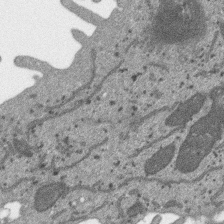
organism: Human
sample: Lung epithelial cells infected with SARS-CoV-2